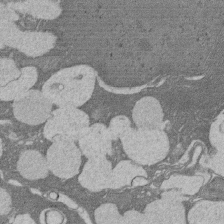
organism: Rat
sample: Salivary granule